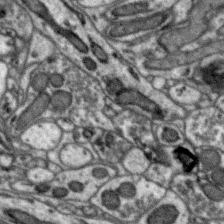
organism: Zebra finch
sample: Brain